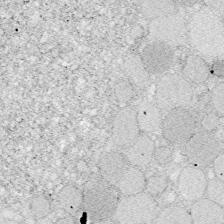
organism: Zebrafish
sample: Whole-Brain